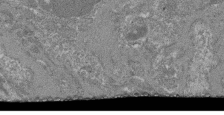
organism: Mouse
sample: Glomerulus